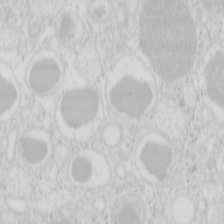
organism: Mouse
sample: Pancreas